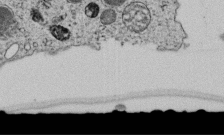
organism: C. elegans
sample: C. elegans embryo early stage